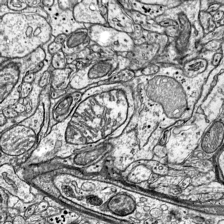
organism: Mouse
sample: Visual Cortex